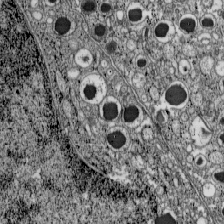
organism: C57BL Mouse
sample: Pancreatic islet